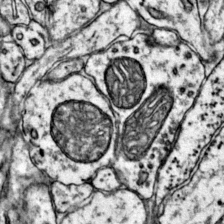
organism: Mouse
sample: Primary visual cortex